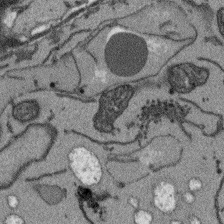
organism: Arabidopsis thaliana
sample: Root tip